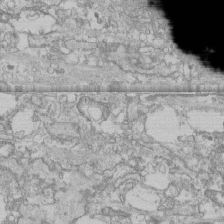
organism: Human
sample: CRL-1474